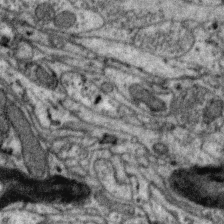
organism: Zebra finch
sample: Brain